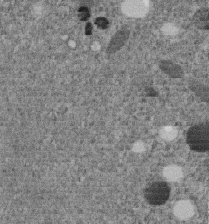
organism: C. elegans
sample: C. elegans embryo early stage